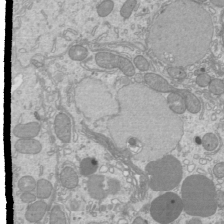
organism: Mouse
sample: Cilia; mouse epididymis